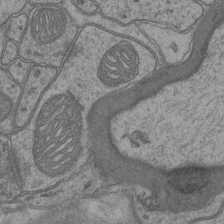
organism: Mouse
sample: CA1 Hippocampus